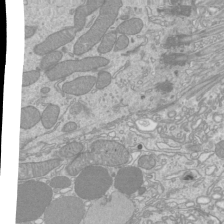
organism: Mouse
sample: Cilia; mouse epididymis